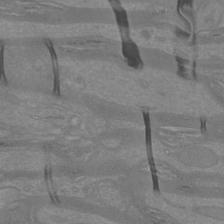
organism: Mouse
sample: Cortical neurons